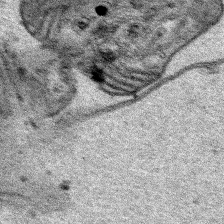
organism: Human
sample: Mitochondria in HCT116 cells